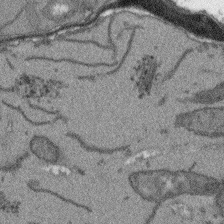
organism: Arabidopsis thaliana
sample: Root tip